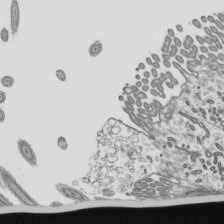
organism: Mouse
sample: Mouse epididymis efferent ductule cilia